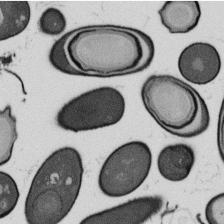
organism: B. subtilis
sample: Bacterial spore